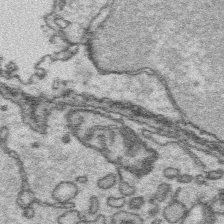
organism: Platynereis dumerilii